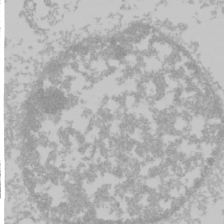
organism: Mouse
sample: Cancer cell death in ED-1 cells